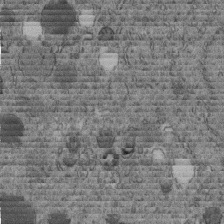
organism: C. elegans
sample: C. elegans embryo early stage